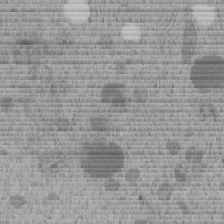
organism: C. elegans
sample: C. elegans embryo early stage